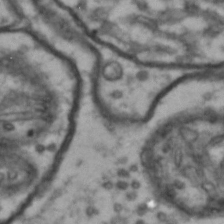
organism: Drosophila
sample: Brain